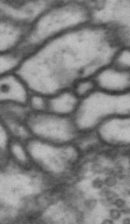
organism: Drosophila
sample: Brain